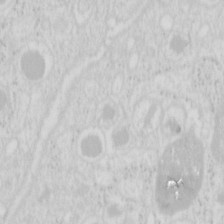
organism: Mouse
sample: Pancreas